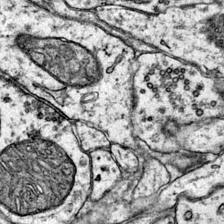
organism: Mouse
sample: Primary visual cortex